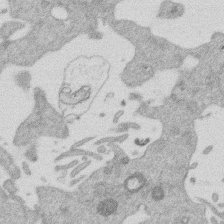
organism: Mouse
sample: Dividing mouse embryo 1 cell stage